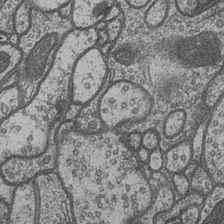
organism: Drosophila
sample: Optic medulla